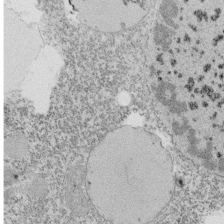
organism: Tetrahymena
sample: Cilia in tetrahymena